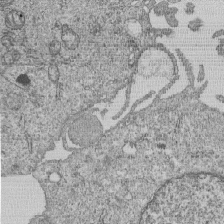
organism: Human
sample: MDA-MB-231 cells